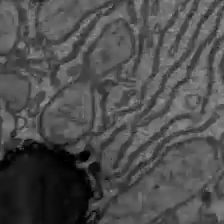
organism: C57BL Mouse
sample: Liver